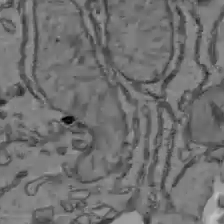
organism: C57BL Mouse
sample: Liver